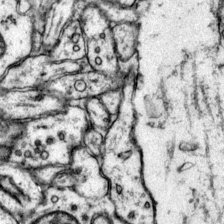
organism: Mouse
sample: Primary visual cortex